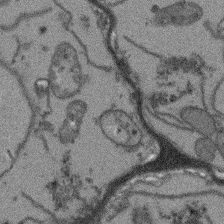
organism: Arabidopsis thaliana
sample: Root tip